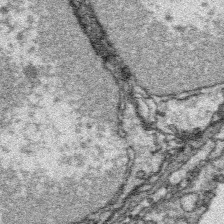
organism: Platynereis dumerilii